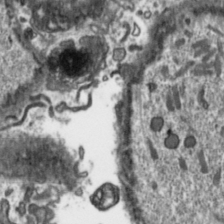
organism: Toxoplasma gondii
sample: Parasites in a vacuole inside a host cell